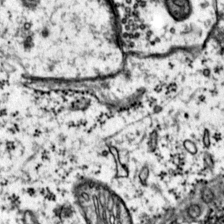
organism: Mouse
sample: Primary visual cortex